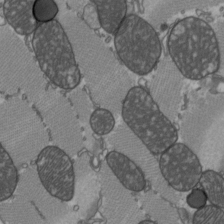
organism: C57BL Mouse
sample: Heart